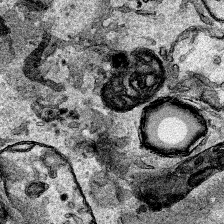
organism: Human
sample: Mitochondria in HCT116 cells